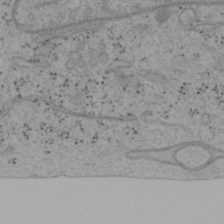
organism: Human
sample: HeLa cells